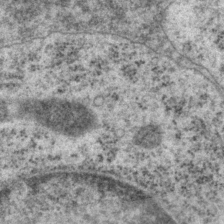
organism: P. pacificus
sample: Pharynx